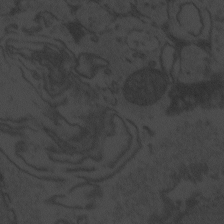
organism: Zebrafish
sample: Macrophage infected with Toxoplasma gondii